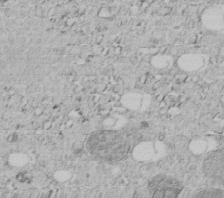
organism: C. elegans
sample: C. elegans embryo early stage